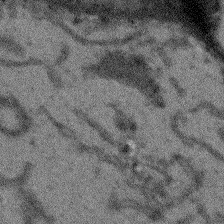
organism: Arabidopsis thaliana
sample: Root tip